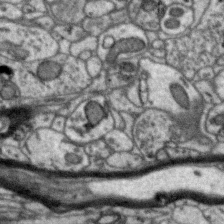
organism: Zebra finch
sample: Brain